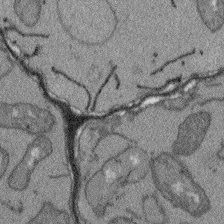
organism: Arabidopsis thaliana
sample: Root tip